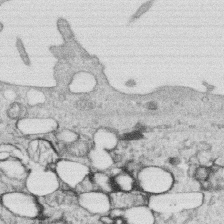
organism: Human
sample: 1205lu cells